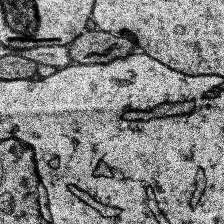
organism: Human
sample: Temporal Lobe